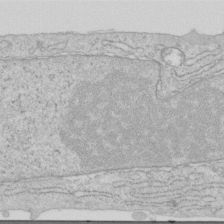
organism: Human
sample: Centriole in RPE cells